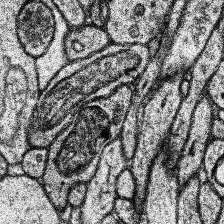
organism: Human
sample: Temporal Lobe